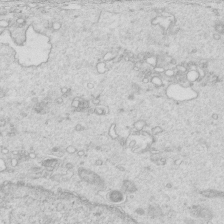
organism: Mouse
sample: Multiciliated cells